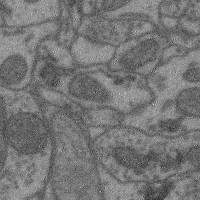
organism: Mouse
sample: Cerebral cortex